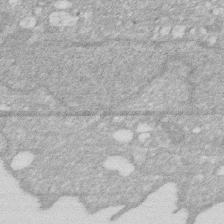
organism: Human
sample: HIV infected U937 cells